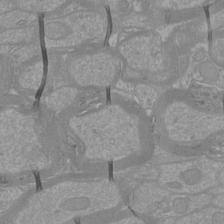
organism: Mouse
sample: Cortical neurons